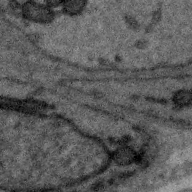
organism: Zebra finch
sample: Brain